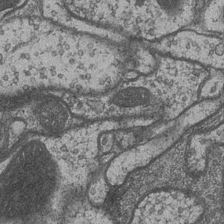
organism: Drosophila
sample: Optic medulla